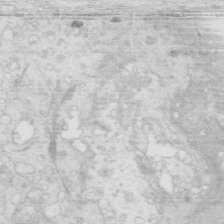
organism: Mouse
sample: Multiciliated cells